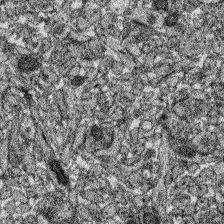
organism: Zebrafish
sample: Larval olfactory bulb